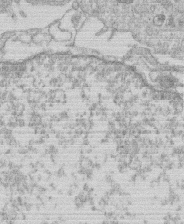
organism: Human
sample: Macrophage cells